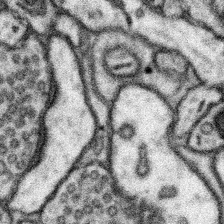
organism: Mouse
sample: Somatosensory cortex neuropil